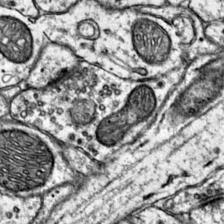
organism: Mouse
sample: Primary visual cortex